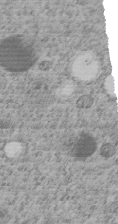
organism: C. elegans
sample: C. elegans embryo early stage